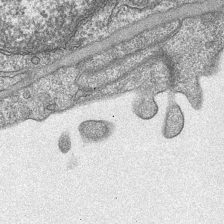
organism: Mouse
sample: CA1 Hippocampus